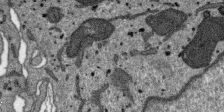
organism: Human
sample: Lung epithelial cells, uninfected (mock) control